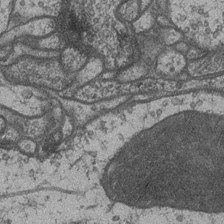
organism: Drosophila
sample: Optic medulla